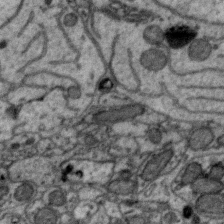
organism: Zebra finch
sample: Brain